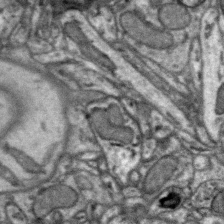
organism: Zebra finch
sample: Brain